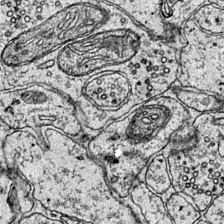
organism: Mouse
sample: Primary visual cortex